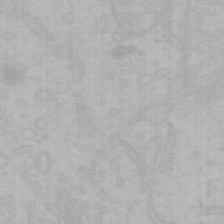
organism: Mouse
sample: Choroid plexus